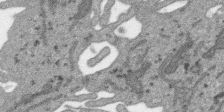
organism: Human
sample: Lung epithelial cells infected with SARS-CoV-2